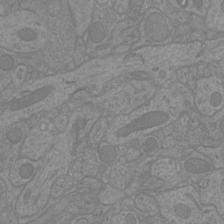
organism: Mouse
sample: Cortical neurons